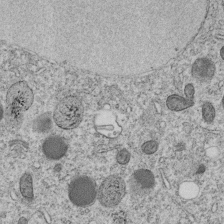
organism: C. elegans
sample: C. elegans embryo early stage